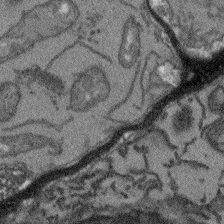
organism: Arabidopsis thaliana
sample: Root tip